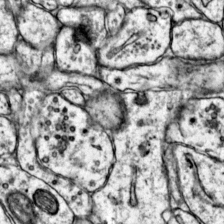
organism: Mouse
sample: Primary visual cortex